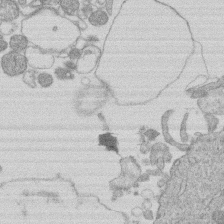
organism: Human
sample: Macrophage cells